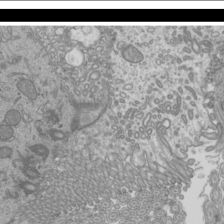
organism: Mouse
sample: Cilia; mouse epididymis